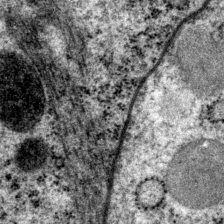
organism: P. pacificus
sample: Pharynx